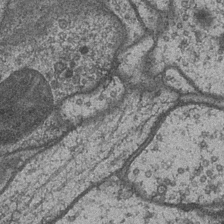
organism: Drosophila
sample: Optic medulla